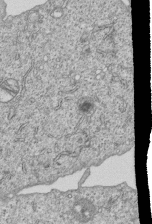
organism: Human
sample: MDA-MB-231 cells